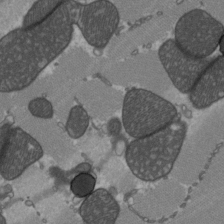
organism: C57BL Mouse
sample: Heart